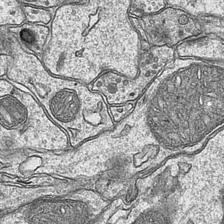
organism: Mouse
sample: CA1 Hippocampus